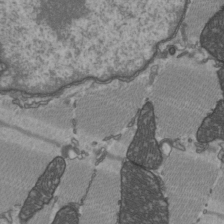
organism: C57BL Mouse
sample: Heart